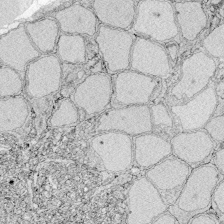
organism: Zebrafish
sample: Whole-Brain